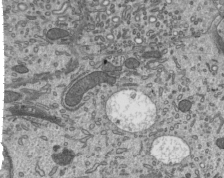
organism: Mouse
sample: Mouse epididymis efferent ductule cilia